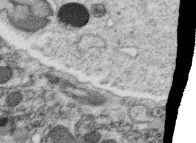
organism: C. elegans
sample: C. elegans oocyte; sperm cells